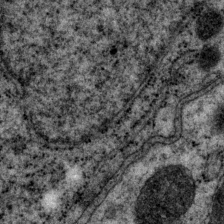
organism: P. pacificus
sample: Pharynx